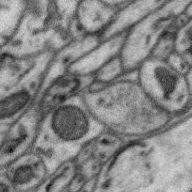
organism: Zebra finch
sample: Brain